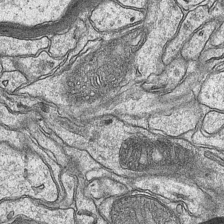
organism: Mouse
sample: CA1 Hippocampus